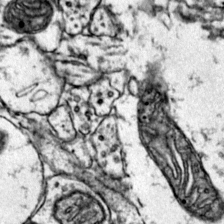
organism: Mouse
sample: Primary visual cortex